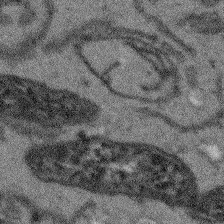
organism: Arabidopsis thaliana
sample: Root tip